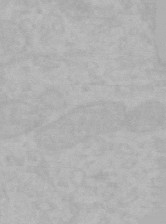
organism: Mouse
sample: Choroid plexus